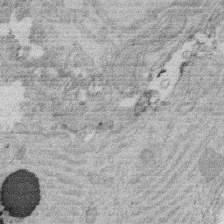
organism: Rat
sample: Salivary granule